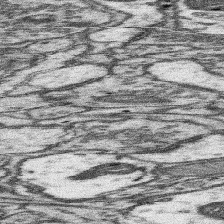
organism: Mouse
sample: Somatosensory cortex neuropil